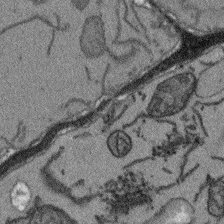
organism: Arabidopsis thaliana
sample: Root tip